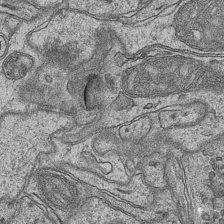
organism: Mouse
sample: CA1 Hippocampus